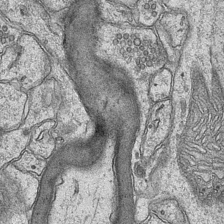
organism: Mouse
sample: CA1 Hippocampus